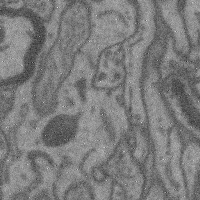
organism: Mouse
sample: Cerebral cortex